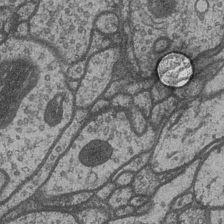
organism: Drosophila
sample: Optic medulla